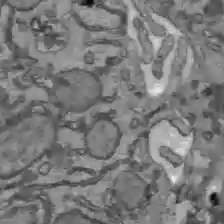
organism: C57BL Mouse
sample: Liver